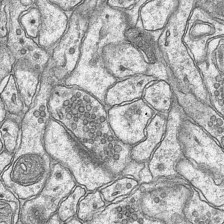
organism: Mouse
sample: CA1 Hippocampus